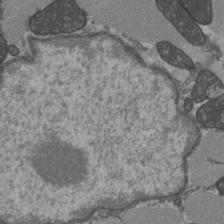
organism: C57BL Mouse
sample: Heart